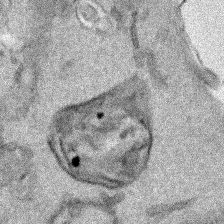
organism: Human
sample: Mitochondria in HCT116 cells